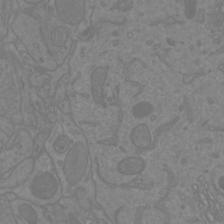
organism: Mouse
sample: Cortical neurons